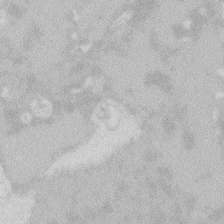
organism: Zebrafish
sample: Macrophage